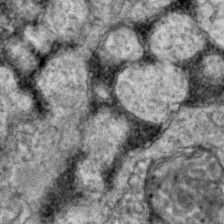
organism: Zebrafish